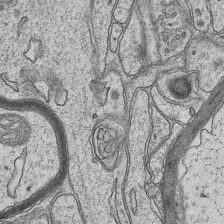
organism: Mouse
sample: CA1 Hippocampus